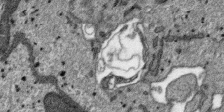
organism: Human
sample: Lung epithelial cells, uninfected (mock) control